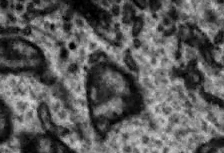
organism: Human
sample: HeLa cells